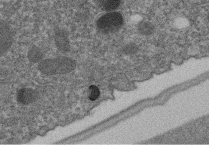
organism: C. elegans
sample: C. elegans embryo early stage